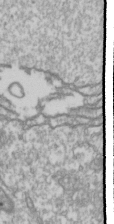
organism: Drosophila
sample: Cell division; meiosis; drosophila spermatocytes